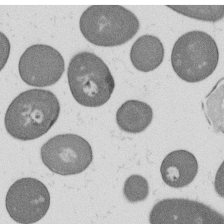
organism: B. subtilis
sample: Bacterial spore